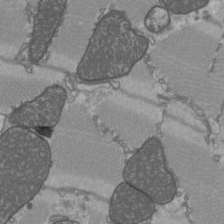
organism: C57BL Mouse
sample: Heart